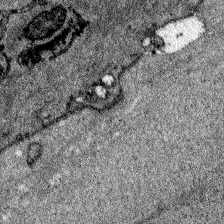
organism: Zebrafish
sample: Larval olfactory bulb